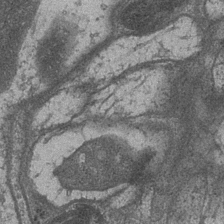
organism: Drosophila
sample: Optic medulla